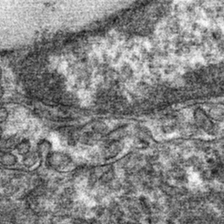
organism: Mouse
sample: Mouse hepatocytes